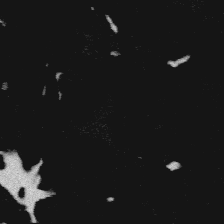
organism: Platynereis dumerilii